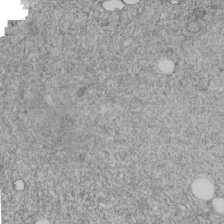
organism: C. elegans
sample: C. elegans embryo early stage